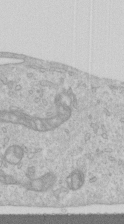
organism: Human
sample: Centriole in RPE cells